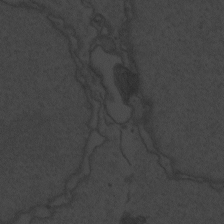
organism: Zebrafish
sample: Macrophage infected with Toxoplasma gondii